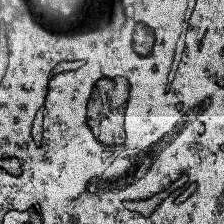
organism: Human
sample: Temporal Lobe